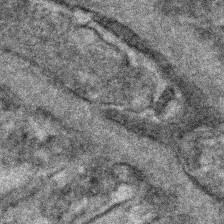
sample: Kidney